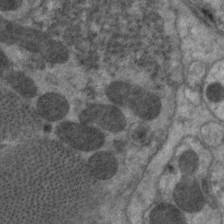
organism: C. elegans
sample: Pharynx